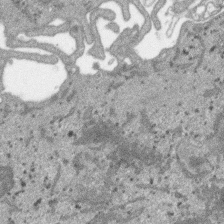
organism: Human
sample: Lung epithelial cells infected with SARS-CoV-2